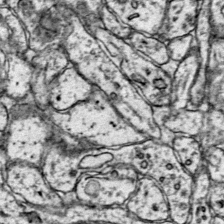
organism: Mouse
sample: Primary visual cortex